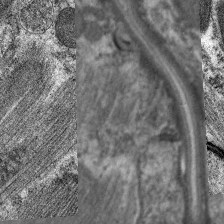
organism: C. elegans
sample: Pharynx